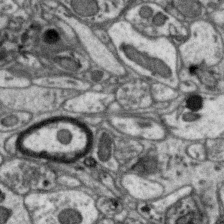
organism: Zebra finch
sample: Brain